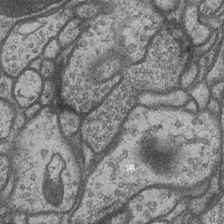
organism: Drosophila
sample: Optic medulla